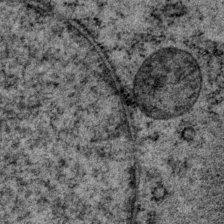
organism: P. pacificus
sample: Pharynx